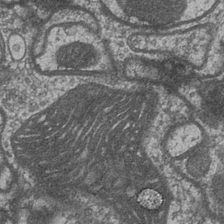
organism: Drosophila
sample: Optic medulla